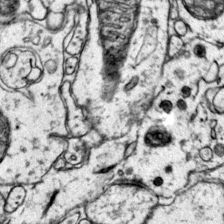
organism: Mouse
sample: Primary visual cortex